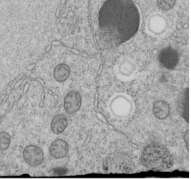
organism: C. elegans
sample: C. elegans embryo early stage